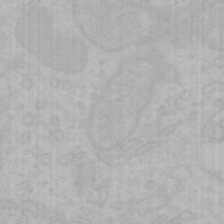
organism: Mouse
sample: Choroid plexus